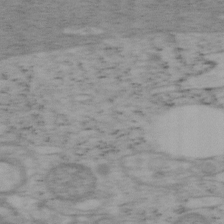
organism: Mouse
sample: OT-I killer T cells with ID8 ovarian cancer cells